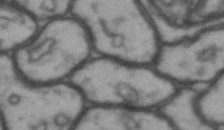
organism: Drosophila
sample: Brain